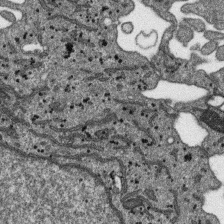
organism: Human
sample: Lung epithelial cells infected with SARS-CoV-2